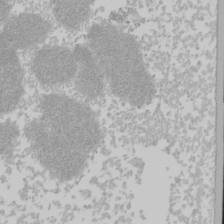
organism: Mouse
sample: Cancer cell death in ED-1 cells